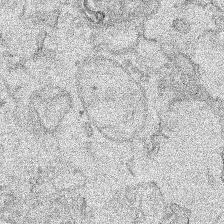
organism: Human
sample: Mitochondria in HCT116 cells